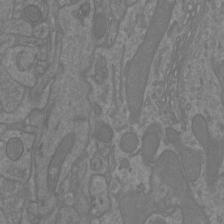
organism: Mouse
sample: Cortical neurons